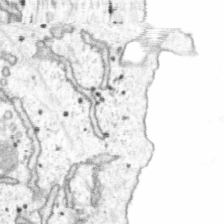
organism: Human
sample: HeLa cells